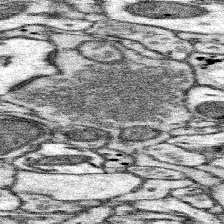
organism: Mouse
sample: Somatosensory cortex neuropil